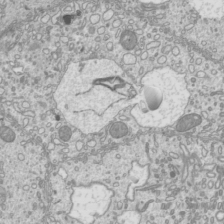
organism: Mouse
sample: Cilia; mouse epididymis